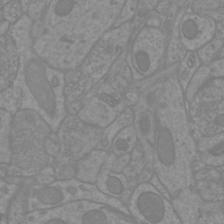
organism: Mouse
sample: Cortical neurons